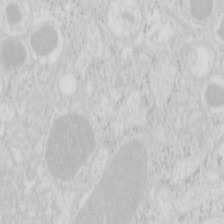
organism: Mouse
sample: Pancreas